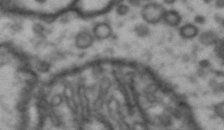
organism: Drosophila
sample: Brain